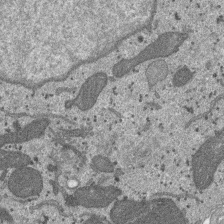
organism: Human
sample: Lung epithelial cells infected with SARS-CoV-2